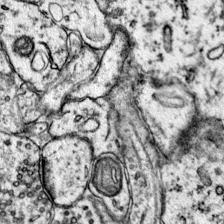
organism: Mouse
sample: Primary visual cortex